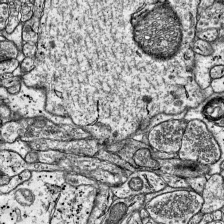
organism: Mouse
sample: Visual Cortex